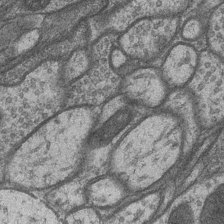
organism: Drosophila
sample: Optic medulla